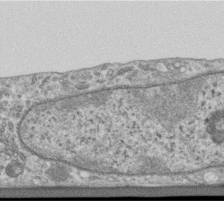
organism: Human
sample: Centriole in RPE cells